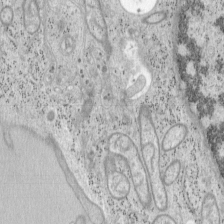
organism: Mouse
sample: OT-I killer T cells with ID8 ovarian cancer cells